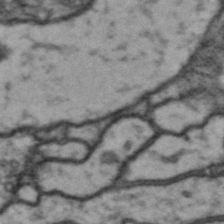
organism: Drosophila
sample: Brain